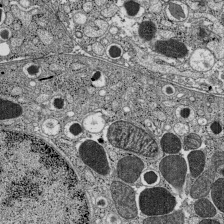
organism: C57BL Mouse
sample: Pancreatic islet